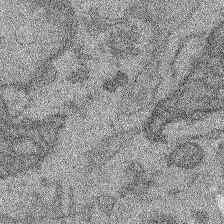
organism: Human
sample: HeLa cells